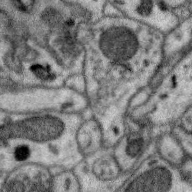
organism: Zebra finch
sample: Brain